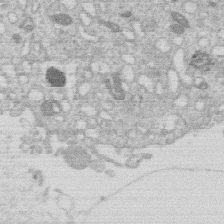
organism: Human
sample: Macrophage cells